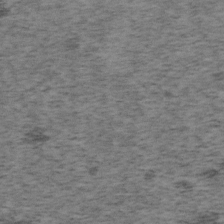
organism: Mouse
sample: OT-I killer T cells with ID8 ovarian cancer cells